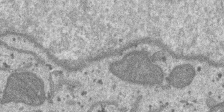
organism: Human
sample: Lung epithelial cells infected with SARS-CoV-2